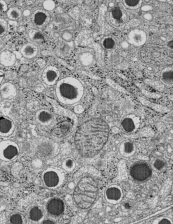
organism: C57BL Mouse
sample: Pancreatic islet